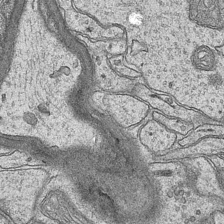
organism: Mouse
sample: CA1 Hippocampus